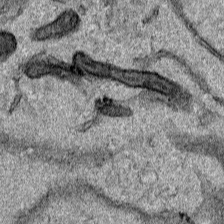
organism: Human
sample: Mitochondria in HCT116 cells